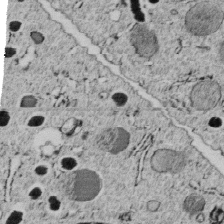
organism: C. elegans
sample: C. elegans embryo early stage